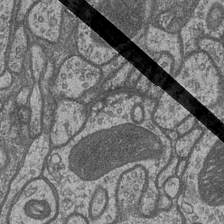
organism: Drosophila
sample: Optic medulla